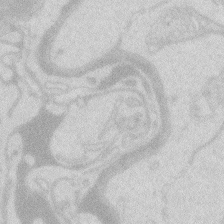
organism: Zebrafish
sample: Macrophage